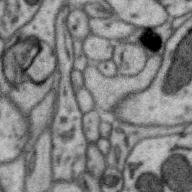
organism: Zebra finch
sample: Brain